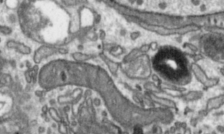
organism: Toxoplasma gondii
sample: Parasites in a vacuole inside a host cell